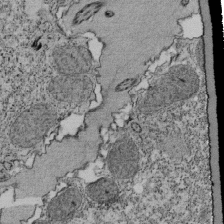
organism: Tetrahymena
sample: Cilia in tetrahymena